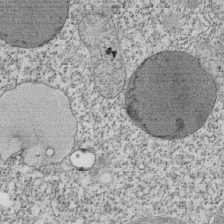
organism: Tetrahymena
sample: Cilia in tetrahymena